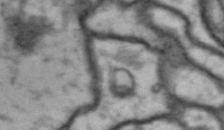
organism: Drosophila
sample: Brain